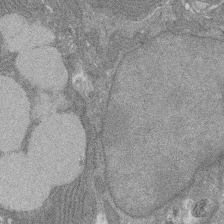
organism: Rat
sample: Salivary granule